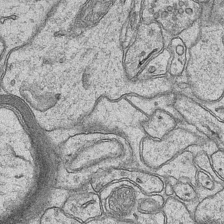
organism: Mouse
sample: CA1 Hippocampus